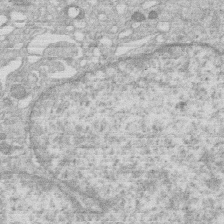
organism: Human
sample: Macrophage cells